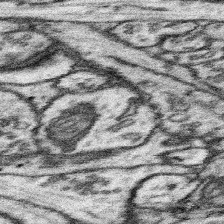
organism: Mouse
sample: Somatosensory cortex neuropil